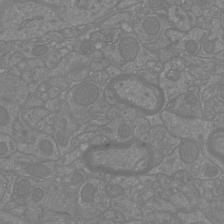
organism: Mouse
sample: Cortical neurons